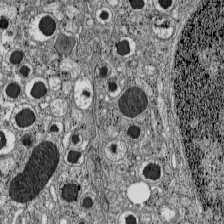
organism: C57BL Mouse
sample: Pancreatic islet